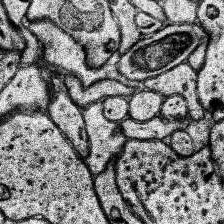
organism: Human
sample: Temporal Lobe